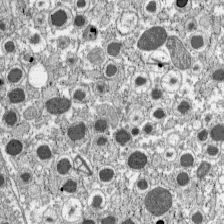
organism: C57BL Mouse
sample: Pancreatic islet